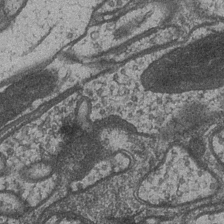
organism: Drosophila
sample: Optic medulla